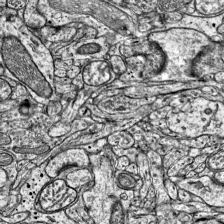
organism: Mouse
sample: Visual Cortex